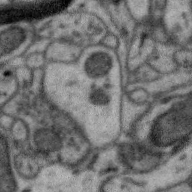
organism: Zebra finch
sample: Brain